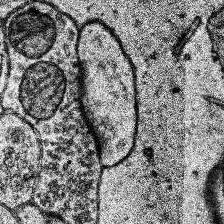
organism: Human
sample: Temporal Lobe